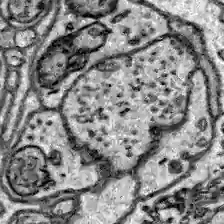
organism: Zebrafish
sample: Brain